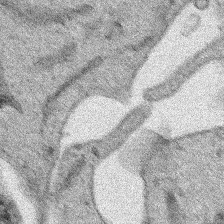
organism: Human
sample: Mitochondria in HCT116 cells